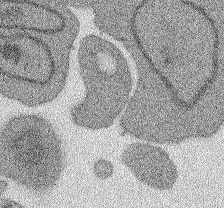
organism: Human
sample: HeLa cells